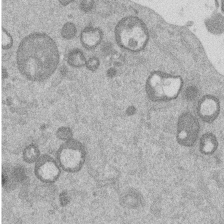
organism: Mouse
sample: Dividing mouse embryo 1 cell stage